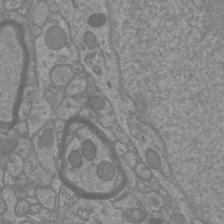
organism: Mouse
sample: Cortical neurons